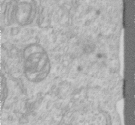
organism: Human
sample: Centriole in RPE cells